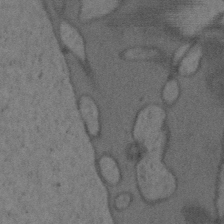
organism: Human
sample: HeLa cells